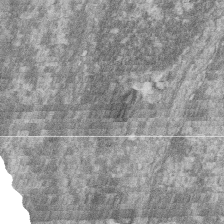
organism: Zebrafish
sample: Cilia; retinal pigment epithelium